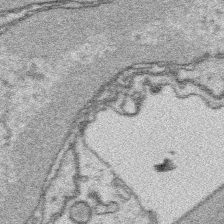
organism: Platynereis dumerilii